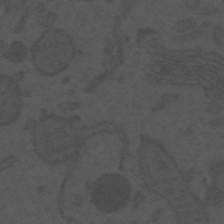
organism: Mouse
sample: Suprachiasmatic nucleus